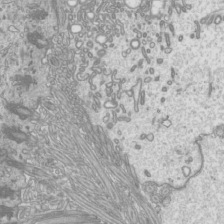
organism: Mouse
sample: Cilia; mouse epididymis